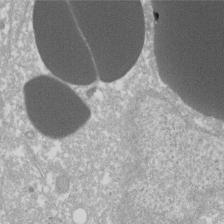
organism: Xenopus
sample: Cilia; centrioles in frog embryo cells